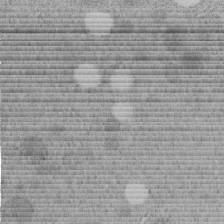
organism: C. elegans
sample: C. elegans embryo early stage